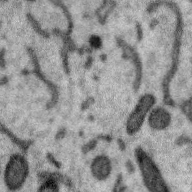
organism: Zebra finch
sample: Brain